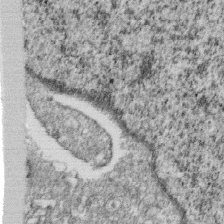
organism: African green monkey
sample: Vero E6 cells infected with SARS-CoV-2